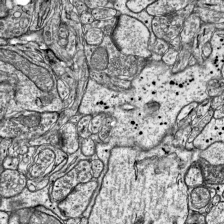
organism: Mouse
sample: Visual Cortex